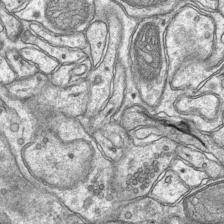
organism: Mouse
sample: CA1 Hippocampus